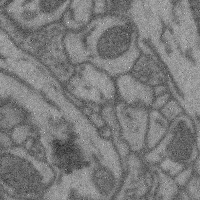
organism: Mouse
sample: Cerebral cortex